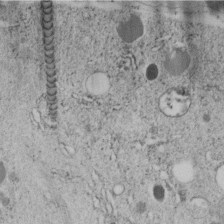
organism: C. elegans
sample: C. elegans embryo early stage